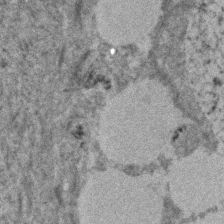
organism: Human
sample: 1205lu cells